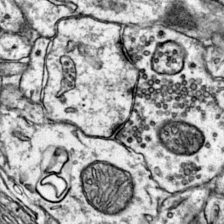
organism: Mouse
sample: Primary visual cortex